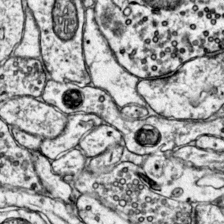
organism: Mouse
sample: Primary visual cortex